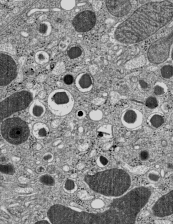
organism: C57BL Mouse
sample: Pancreatic islet